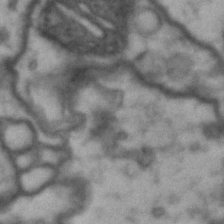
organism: Drosophila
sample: Brain